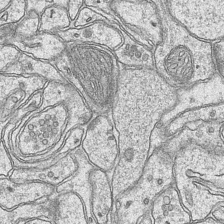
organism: Mouse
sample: CA1 Hippocampus